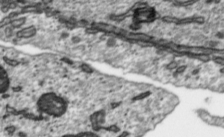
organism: Toxoplasma gondii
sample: Parasites in a vacuole inside a host cell